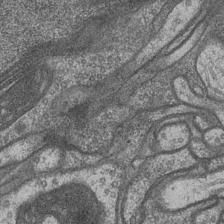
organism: Drosophila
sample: Optic medulla